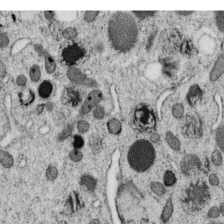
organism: C. elegans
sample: C. elegans oocyte; sperm cells